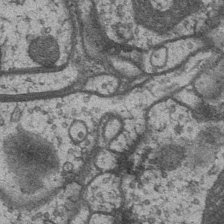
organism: Drosophila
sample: Optic medulla